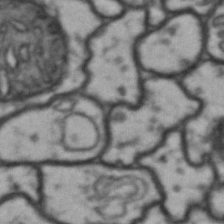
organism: Drosophila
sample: Brain